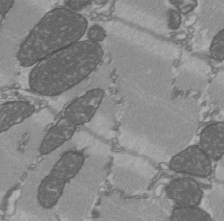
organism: C57BL Mouse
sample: Heart